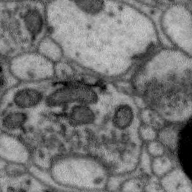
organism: Zebra finch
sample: Brain